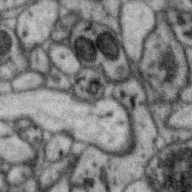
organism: Zebra finch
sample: Brain